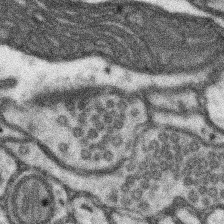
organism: Mouse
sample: Somatosensory cortex neuropil